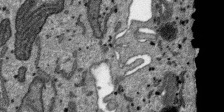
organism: Human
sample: Lung epithelial cells, uninfected (mock) control